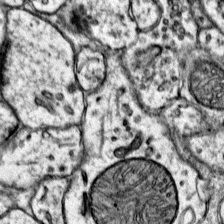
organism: Mouse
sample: Primary visual cortex